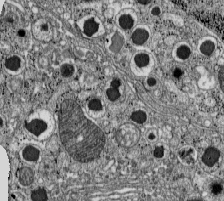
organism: C57BL Mouse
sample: Pancreatic islet